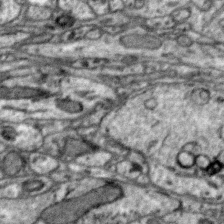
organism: Zebra finch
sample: Brain